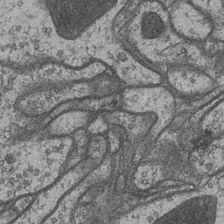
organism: Drosophila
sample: Optic medulla